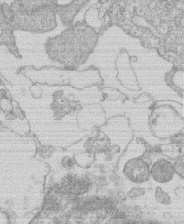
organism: Human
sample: Macrophage cells